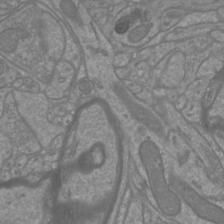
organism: Mouse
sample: Cortical neurons